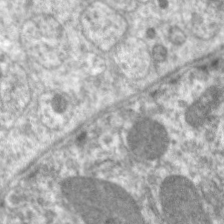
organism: C. elegans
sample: Pharynx